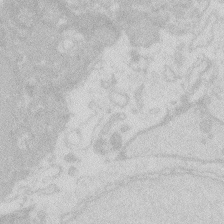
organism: Zebrafish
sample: Macrophage